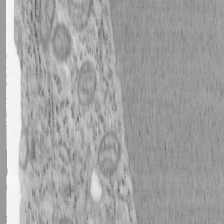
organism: Human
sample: HeLa cells